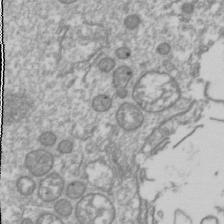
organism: Drosophila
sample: Cell division; meiosis; drosophila spermatocytes